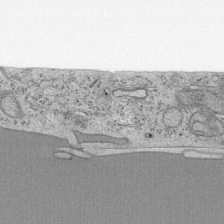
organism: Human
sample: HeLa cells